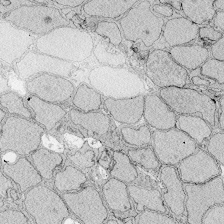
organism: Zebrafish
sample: Whole-Brain